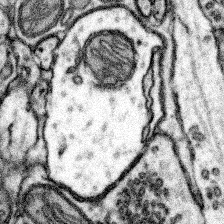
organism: Mouse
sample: Somatosensory cortex neuropil